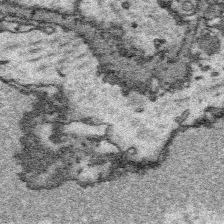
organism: Platynereis dumerilii